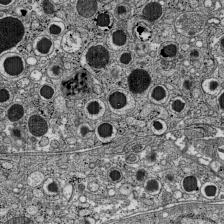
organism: C57BL Mouse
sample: Pancreatic islet